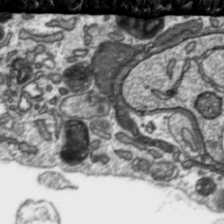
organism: Toxoplasma gondii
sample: Parasites in a vacuole inside a host cell